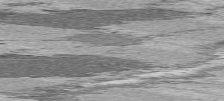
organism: C57BL Mouse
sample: Heart